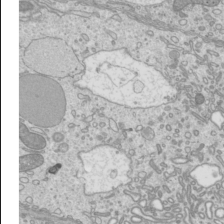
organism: Mouse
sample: Cilia; mouse epididymis